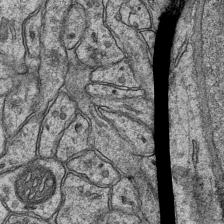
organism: Mouse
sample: CA1 Hippocampus